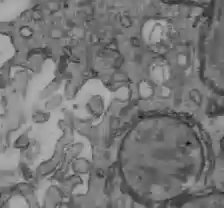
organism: C57BL Mouse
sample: Liver